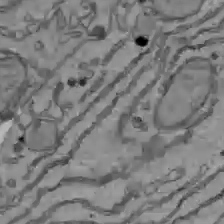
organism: C57BL Mouse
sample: Liver